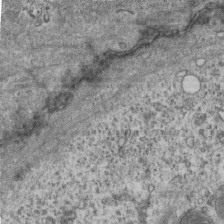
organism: Mouse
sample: Centriole in ependymal cells